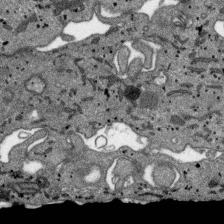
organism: Human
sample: Lung epithelial cells, uninfected (mock) control